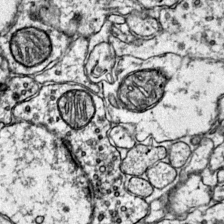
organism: Mouse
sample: Primary visual cortex